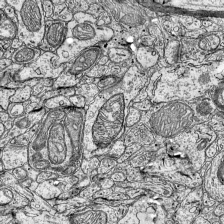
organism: Mouse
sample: Visual Cortex